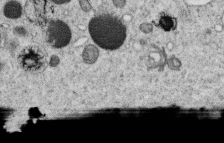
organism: C. elegans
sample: C. elegans oocyte; sperm cells